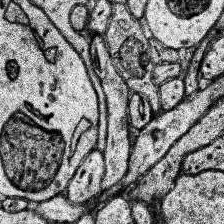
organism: Human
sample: Temporal Lobe